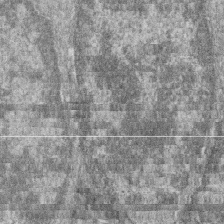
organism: Zebrafish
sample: Cilia; retinal pigment epithelium